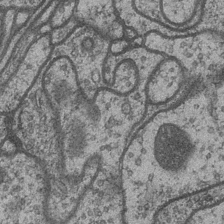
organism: Drosophila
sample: Optic medulla